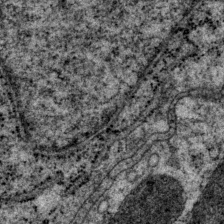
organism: P. pacificus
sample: Pharynx